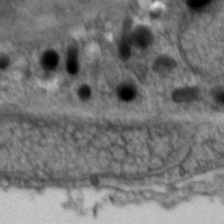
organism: Zebrafish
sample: Zebrafish embryo